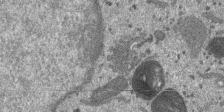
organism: Human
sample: Lung epithelial cells infected with SARS-CoV-2